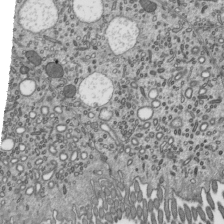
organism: Mouse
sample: Mouse epididymis efferent ductule cilia